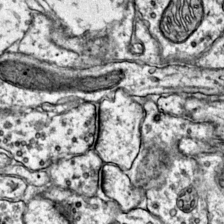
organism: Mouse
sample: Primary visual cortex